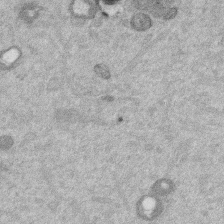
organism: Mouse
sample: Dividing mouse embryo 1 cell stage